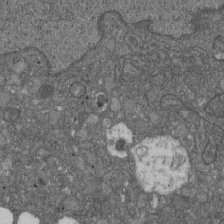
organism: Drosophila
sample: Nephrocyte